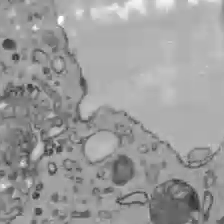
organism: C57BL Mouse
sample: Liver